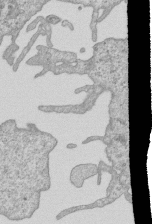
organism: Human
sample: MDA-MB-231 cells